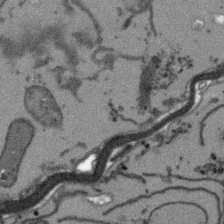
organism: Arabidopsis thaliana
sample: Root tip